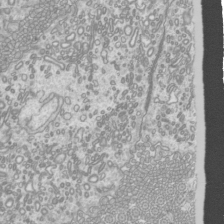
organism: Mouse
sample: Cilia; mouse epididymis